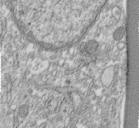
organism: Human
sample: Centriole in fibroblast cells